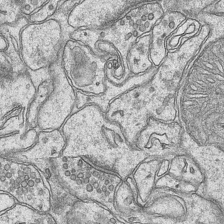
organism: Mouse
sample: CA1 Hippocampus